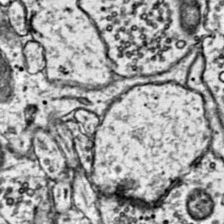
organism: Mouse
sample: Primary visual cortex